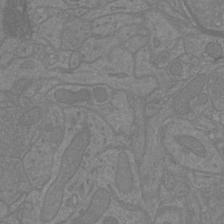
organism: Mouse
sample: Cortical neurons